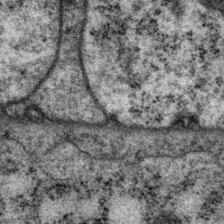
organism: P. pacificus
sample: Pharynx